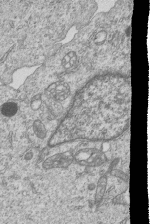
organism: Human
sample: MDA-MB-231 cells